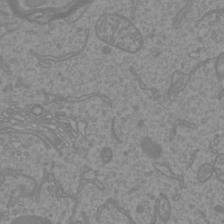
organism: Mouse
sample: Cortical neurons